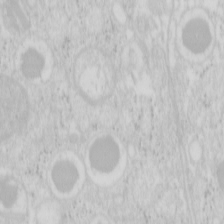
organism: Mouse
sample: Pancreas